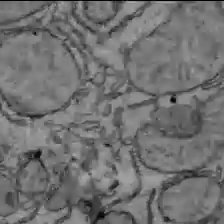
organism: C57BL Mouse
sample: Liver